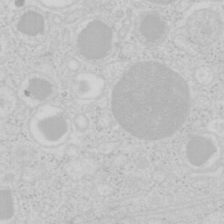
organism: Mouse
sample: Pancreas